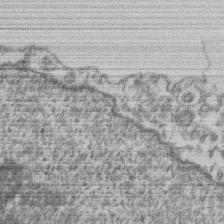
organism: Mouse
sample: T cell stromal cell synapse